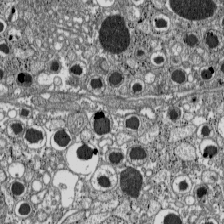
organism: C57BL Mouse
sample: Pancreatic islet